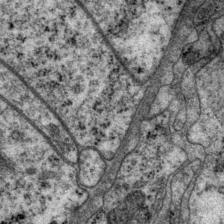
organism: P. pacificus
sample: Pharynx